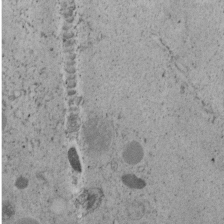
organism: C. elegans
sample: C. elegans embryo early stage